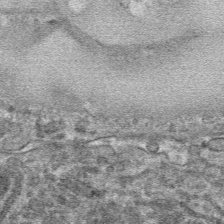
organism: Mouse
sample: Mouse hepatocytes